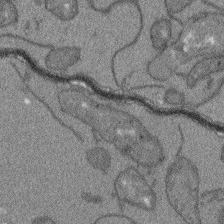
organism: Arabidopsis thaliana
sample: Root tip